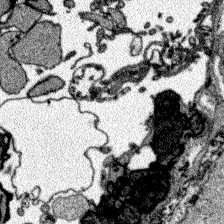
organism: Zebrafish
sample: Larval olfactory bulb